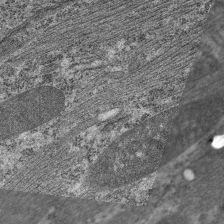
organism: C. elegans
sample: Pharynx